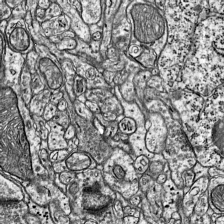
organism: Mouse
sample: Visual Cortex